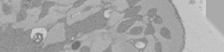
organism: Rat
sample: Left ventricle